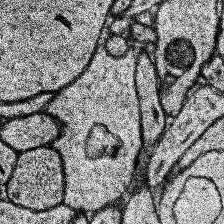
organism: Human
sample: Temporal Lobe